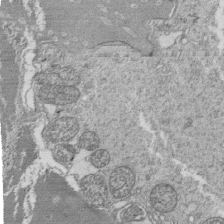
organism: Tetrahymena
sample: Cilia in tetrahymena